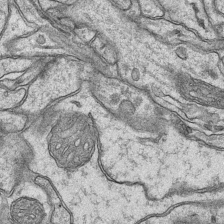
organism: Mouse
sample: CA1 Hippocampus